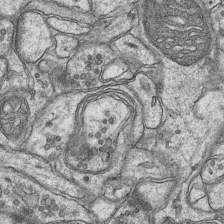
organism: Mouse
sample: CA1 Hippocampus